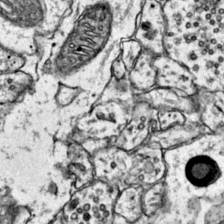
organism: Mouse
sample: Primary visual cortex